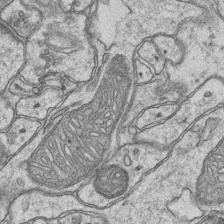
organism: Mouse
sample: CA1 Hippocampus